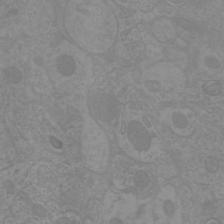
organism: Mouse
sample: Cortical neurons